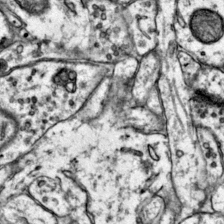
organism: Mouse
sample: Primary visual cortex